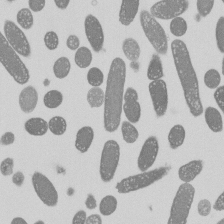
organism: E. coli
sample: Bacterial nucleoid